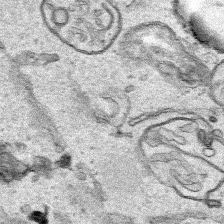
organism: Human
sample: Mitochondria in HCT116 cells